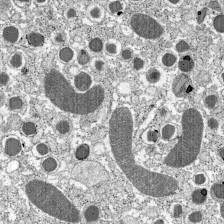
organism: C57BL Mouse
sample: Pancreatic islet